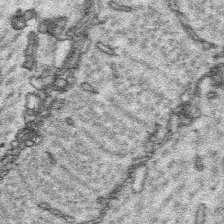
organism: Platynereis dumerilii